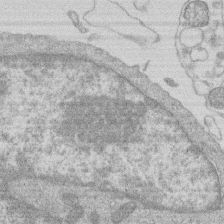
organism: Human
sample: Macrophage cells